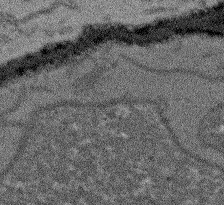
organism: Arabidopsis thaliana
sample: Root tip